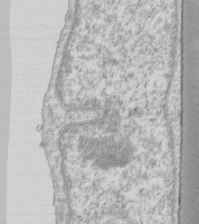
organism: Human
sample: Fibroblast cells